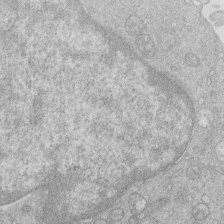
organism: Human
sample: Macrophage cells